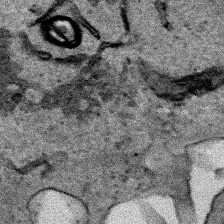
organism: Human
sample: Mitochondria in HCT116 cells